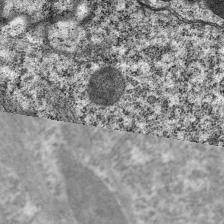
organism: C. elegans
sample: Pharynx